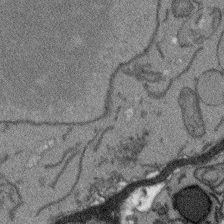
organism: Arabidopsis thaliana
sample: Root tip